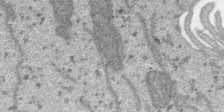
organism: Human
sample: Lung epithelial cells infected with SARS-CoV-2